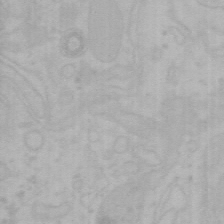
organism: Mouse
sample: Choroid plexus